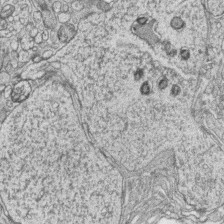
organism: Zebrafish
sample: synaptic ribbons in rod cells and cone cells